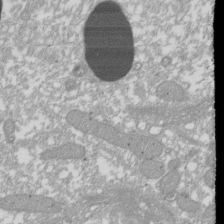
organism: Xenopus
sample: Cilia; centrioles in frog embryo cells